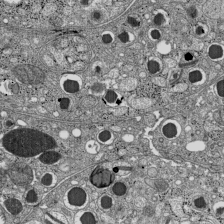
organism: C57BL Mouse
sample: Pancreatic islet